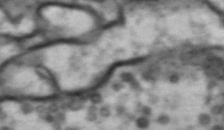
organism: Drosophila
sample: Brain